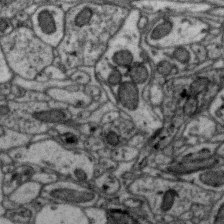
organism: Zebra finch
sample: Brain